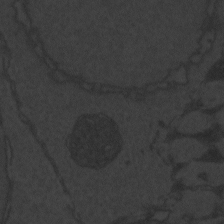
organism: Zebrafish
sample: Macrophage infected with Toxoplasma gondii